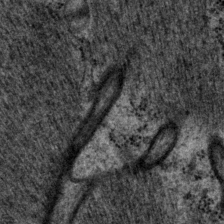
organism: P. pacificus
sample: Pharynx